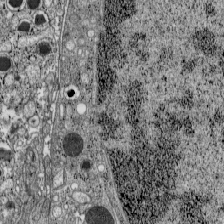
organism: C57BL Mouse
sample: Pancreatic islet